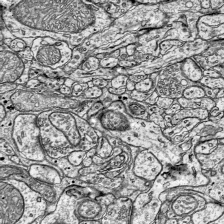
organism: Mouse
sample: Visual Cortex